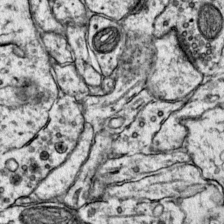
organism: Mouse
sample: Primary visual cortex